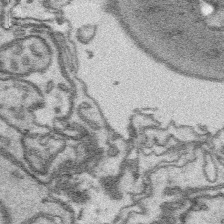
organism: Platynereis dumerilii